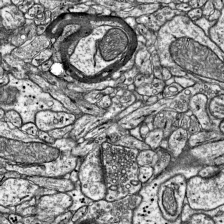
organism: Mouse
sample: Visual Cortex